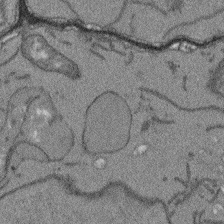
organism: Arabidopsis thaliana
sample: Root tip